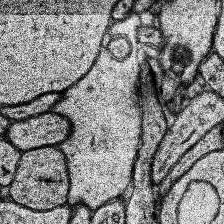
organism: Human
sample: Temporal Lobe